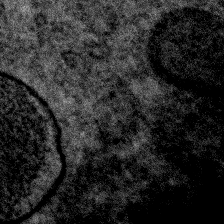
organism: C. elegans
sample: C. elegans embryo